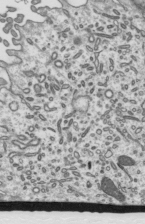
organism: Mouse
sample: Mouse epididymis efferent ductule cilia